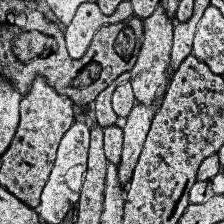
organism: Human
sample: Temporal Lobe